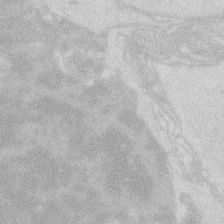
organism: Zebrafish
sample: Macrophage